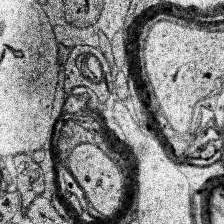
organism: Human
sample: Temporal Lobe